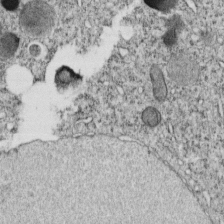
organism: C. elegans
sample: C. elegans embryo early stage